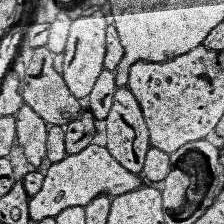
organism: Human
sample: Temporal Lobe